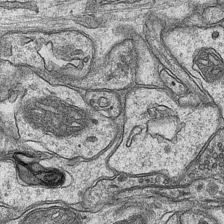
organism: Mouse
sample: CA1 Hippocampus